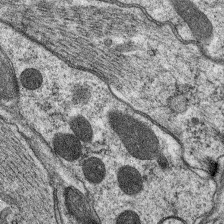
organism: C. elegans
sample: Pharynx